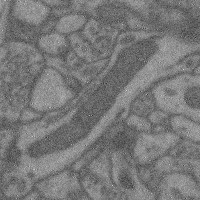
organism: Mouse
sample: Cerebral cortex